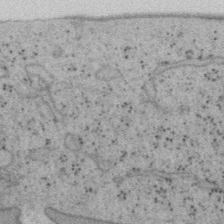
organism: Human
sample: HeLa cells